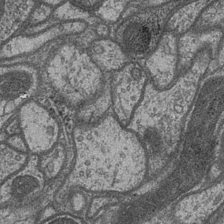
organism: Drosophila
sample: Optic medulla